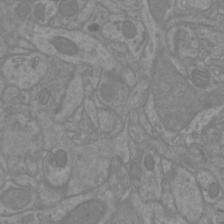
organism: Mouse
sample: Cortical neurons